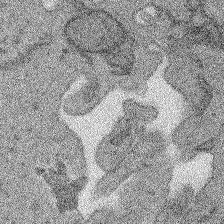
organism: Human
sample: HeLa cells